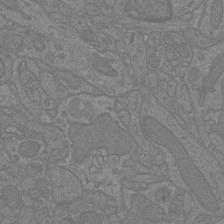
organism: Mouse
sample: Cortical neurons